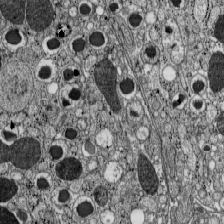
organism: C57BL Mouse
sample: Pancreatic islet